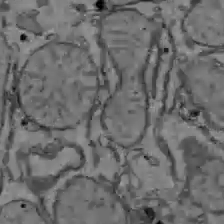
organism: C57BL Mouse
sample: Liver